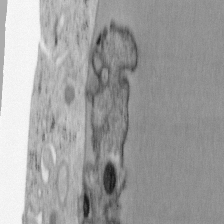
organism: Human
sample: HeLa cells